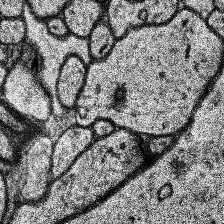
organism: Human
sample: Temporal Lobe